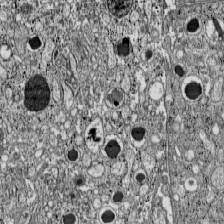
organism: C57BL Mouse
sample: Pancreatic islet